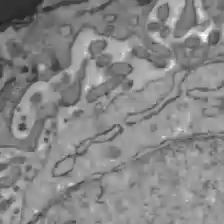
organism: C57BL Mouse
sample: Liver